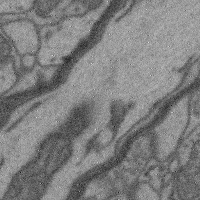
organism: Mouse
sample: Cerebral cortex